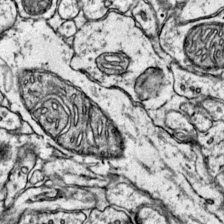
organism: Mouse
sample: Primary visual cortex